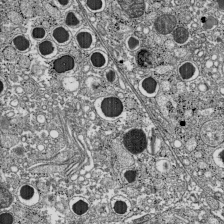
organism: C57BL Mouse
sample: Pancreatic islet